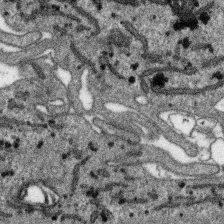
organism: Human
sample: Lung epithelial cells infected with SARS-CoV-2